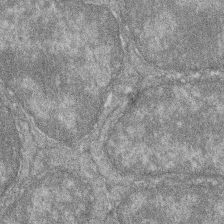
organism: Zebrafish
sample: Cilia; retinal pigment epithelium